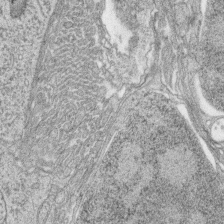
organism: Zebrafish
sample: synaptic ribbons in rod cells and cone cells